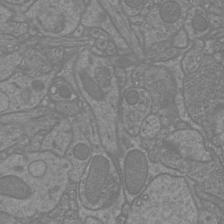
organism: Mouse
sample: Cortical neurons